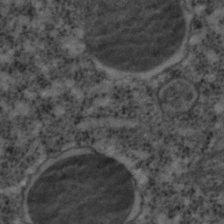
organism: C. elegans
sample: C. elegans embryo